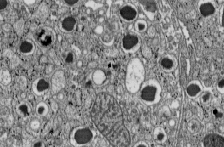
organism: C57BL Mouse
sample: Pancreatic islet